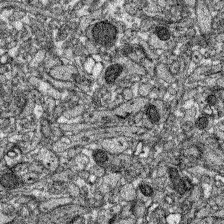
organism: Zebrafish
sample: Larval olfactory bulb